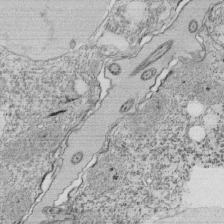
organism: Tetrahymena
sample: Cilia in tetrahymena